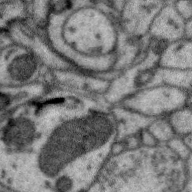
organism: Zebra finch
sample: Brain